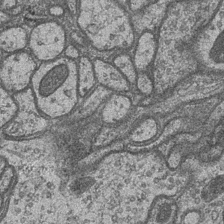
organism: Drosophila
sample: Optic medulla